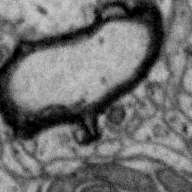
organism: Zebra finch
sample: Brain